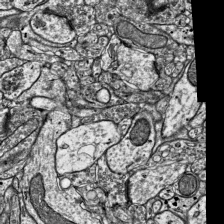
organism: Mouse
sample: Visual Cortex